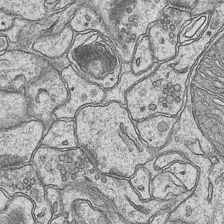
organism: Mouse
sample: CA1 Hippocampus